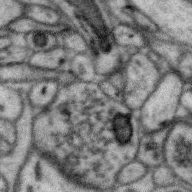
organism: Zebra finch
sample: Brain